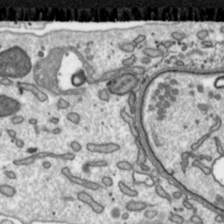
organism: Toxoplasma gondii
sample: Parasites in a vacuole inside a host cell